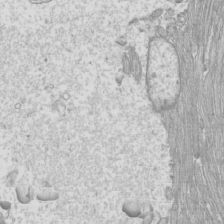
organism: Mouse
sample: Cilia; mouse epididymis